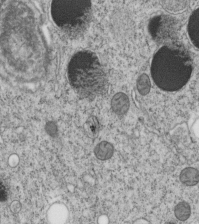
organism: C. elegans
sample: C. elegans embryo early stage